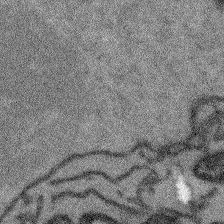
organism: Arabidopsis thaliana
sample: Root tip